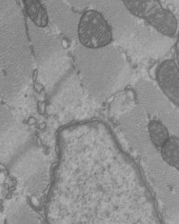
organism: C57BL Mouse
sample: Heart